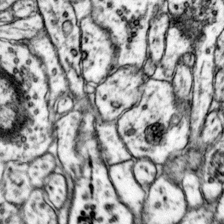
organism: Mouse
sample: Primary visual cortex